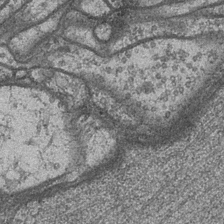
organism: Drosophila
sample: Optic medulla